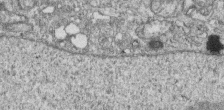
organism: Human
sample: HeLa cell HIV synapse